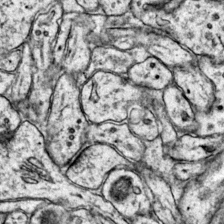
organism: Mouse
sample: Primary visual cortex